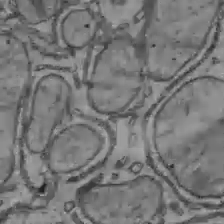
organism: C57BL Mouse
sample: Liver